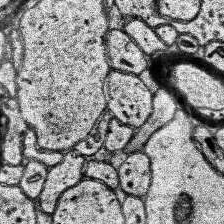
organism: Human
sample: Temporal Lobe